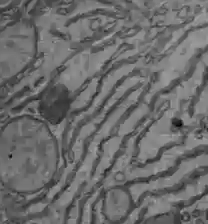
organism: C57BL Mouse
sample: Liver